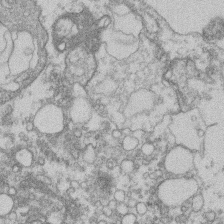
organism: Mouse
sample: T cell stromal cell synapse